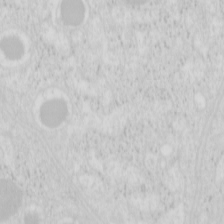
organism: Mouse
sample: Pancreas